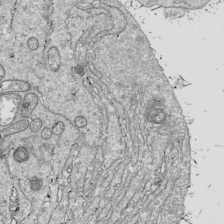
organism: Drosophila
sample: Cell division; meiosis; drosophila spermatocytes